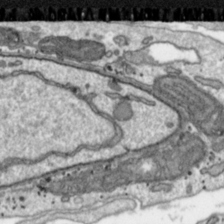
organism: Toxoplasma gondii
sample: Parasites in a vacuole inside a host cell